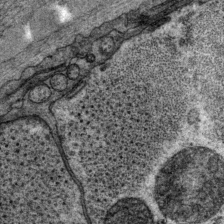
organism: P. pacificus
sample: Pharynx